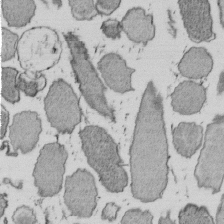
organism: E. coli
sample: Bacterial nucleoid